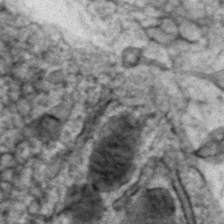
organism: Zebrafish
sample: Zebrafish embryo